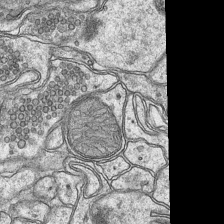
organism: Mouse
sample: CA1 Hippocampus